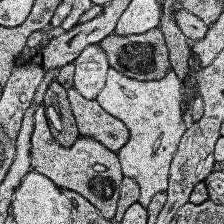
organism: Human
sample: Temporal Lobe